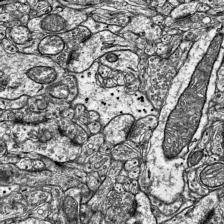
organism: Mouse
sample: Visual Cortex